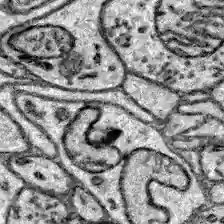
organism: Zebrafish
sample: Brain